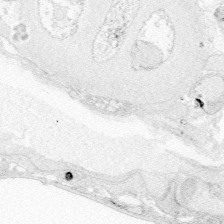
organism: Zebrafish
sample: Whole-Brain